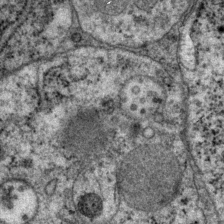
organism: P. pacificus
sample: Pharynx